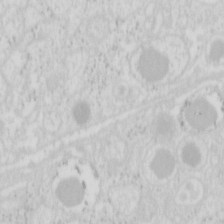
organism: Mouse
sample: Pancreas